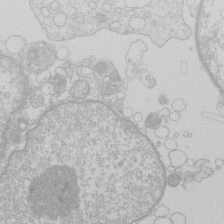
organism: Human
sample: Macrophage cells